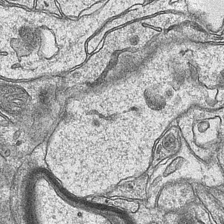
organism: Mouse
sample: CA1 Hippocampus